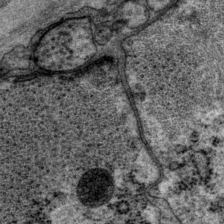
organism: P. pacificus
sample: Pharynx